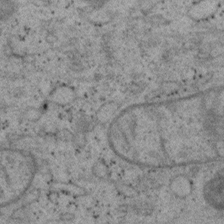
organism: Human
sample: HeLa cells